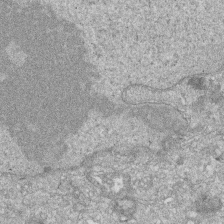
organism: Human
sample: HeLa cell HIV synapse